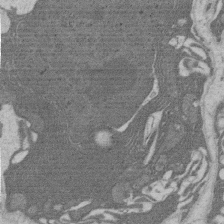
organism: Rat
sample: Salivary granule